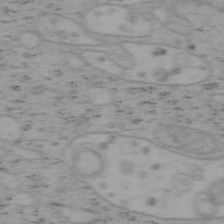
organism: Mouse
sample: OT-I killer T cells with ID8 ovarian cancer cells